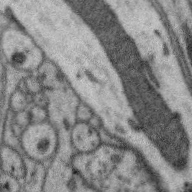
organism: Zebra finch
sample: Brain